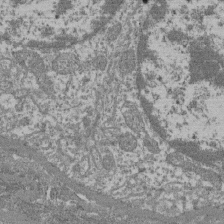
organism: Mouse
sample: Glomerulus